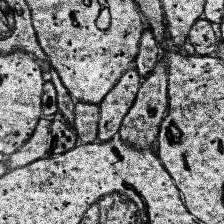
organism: Human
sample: Temporal Lobe